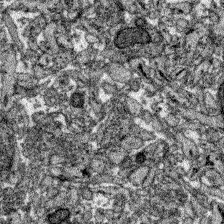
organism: Zebrafish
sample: Larval olfactory bulb